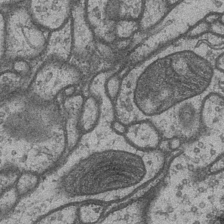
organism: Drosophila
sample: Optic medulla